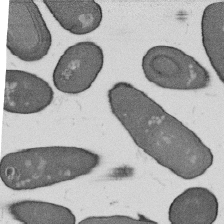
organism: B. subtilis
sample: Bacterial spore